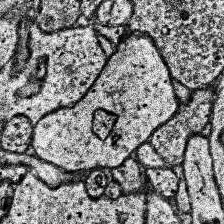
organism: Human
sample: Temporal Lobe